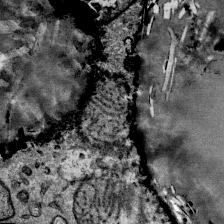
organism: Mouse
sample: Mouse Salivary gland